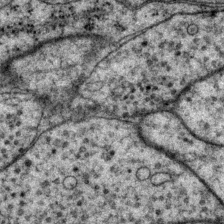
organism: P. pacificus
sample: Pharynx